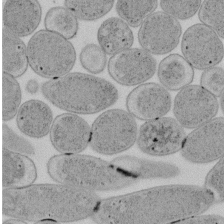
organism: E. coli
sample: Bacterial nucleoid